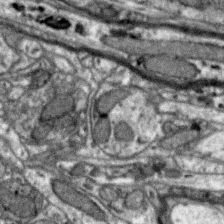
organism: Zebra finch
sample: Brain